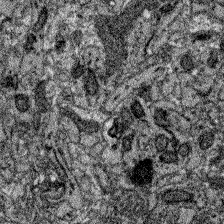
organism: Zebrafish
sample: Larval olfactory bulb